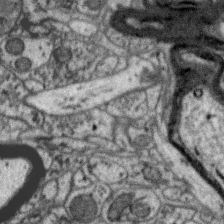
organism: Zebra finch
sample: Brain